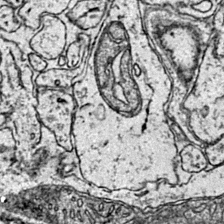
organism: Mouse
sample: Primary visual cortex